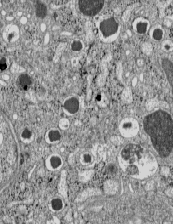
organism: C57BL Mouse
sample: Pancreatic islet